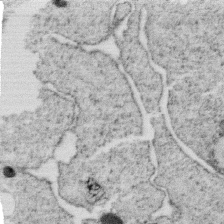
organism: C. elegans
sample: C. elegans oocyte; sperm cells